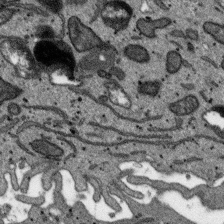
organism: Human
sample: Lung epithelial cells, uninfected (mock) control